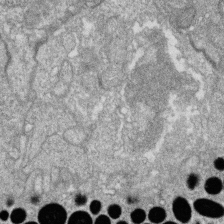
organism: Zebrafish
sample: Cilia; retinal pigment epithelium